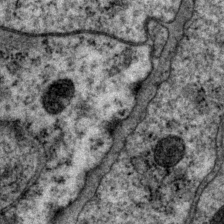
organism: P. pacificus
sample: Pharynx